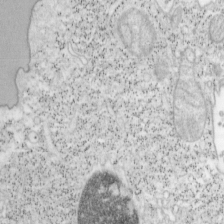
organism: Mouse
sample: OT-I killer T cells with ID8 ovarian cancer cells